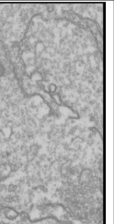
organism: Drosophila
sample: Cell division; meiosis; drosophila spermatocytes